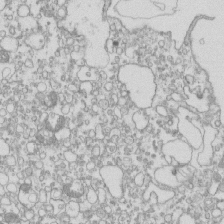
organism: Mouse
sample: Macrophages